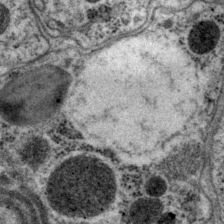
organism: P. pacificus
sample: Pharynx